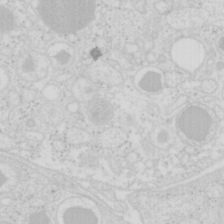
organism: Mouse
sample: Pancreas